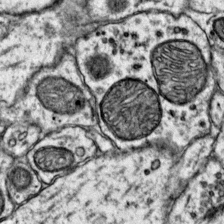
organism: Mouse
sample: Primary visual cortex